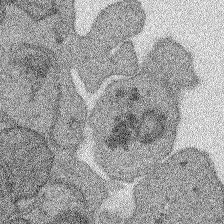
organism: Human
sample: HeLa cells